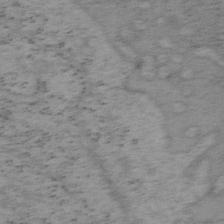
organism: Mouse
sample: OT-I killer T cells with ID8 ovarian cancer cells